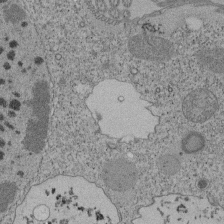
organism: Tetrahymena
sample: Cilia in tetrahymena